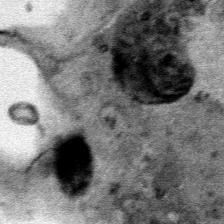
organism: Human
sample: Mitochondria in HCT116 cells